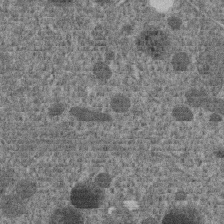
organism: C. elegans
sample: C. elegans embryo early stage